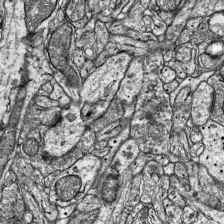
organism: Mouse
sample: Visual Cortex